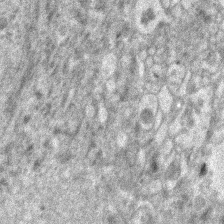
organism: Human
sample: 1205lu cells